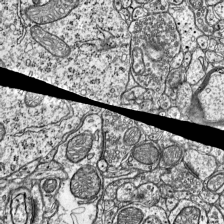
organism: Mouse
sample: Visual Cortex